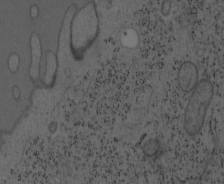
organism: Mouse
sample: OT-I killer T cells with ID8 ovarian cancer cells